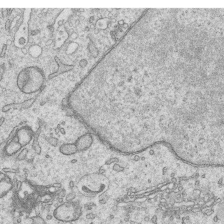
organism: Human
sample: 1205lu cells